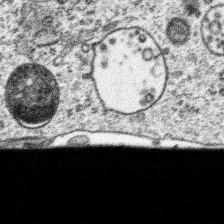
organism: Human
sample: HeLa cells